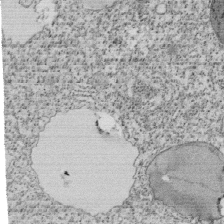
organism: Tetrahymena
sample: Cilia in tetrahymena